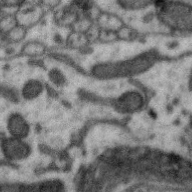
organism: Zebra finch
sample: Brain